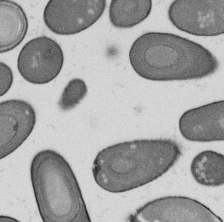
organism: B. subtilis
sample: Bacterial spore